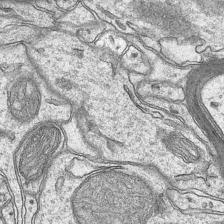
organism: Mouse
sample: CA1 Hippocampus